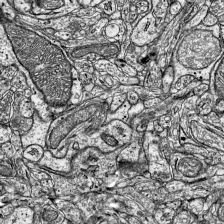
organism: Mouse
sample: Visual Cortex